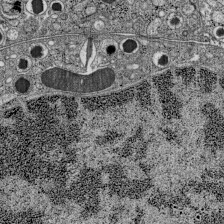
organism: C57BL Mouse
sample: Pancreatic islet